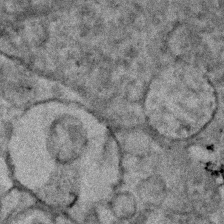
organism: Human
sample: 1205lu cells